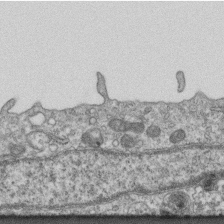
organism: Mouse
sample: Centriole in ependymal cells